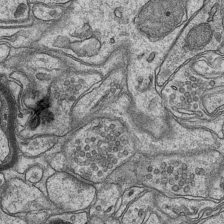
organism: Mouse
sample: CA1 Hippocampus